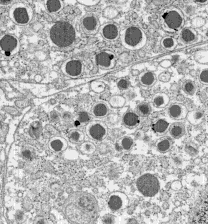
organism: C57BL Mouse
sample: Pancreatic islet